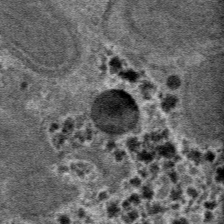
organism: Mouse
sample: Mouse hepatocytes